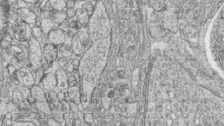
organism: Zebrafish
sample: synaptic ribbons in rod cells and cone cells